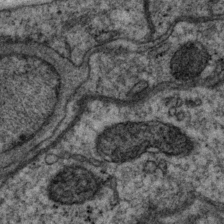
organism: P. pacificus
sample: Pharynx